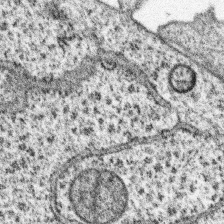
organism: Human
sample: HeLa cells